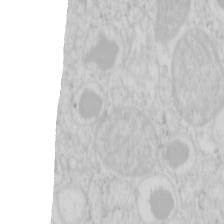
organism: Mouse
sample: Pancreas